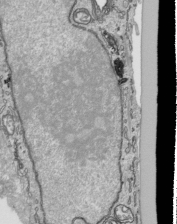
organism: Human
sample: Mitochondria in HCT116 cells